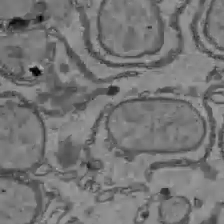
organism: C57BL Mouse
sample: Liver